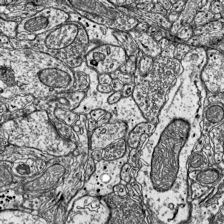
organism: Mouse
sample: Visual Cortex